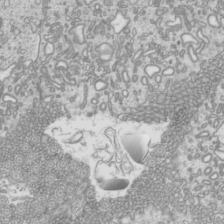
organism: Mouse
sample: Cilia; mouse epididymis